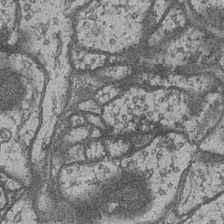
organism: Drosophila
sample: Optic medulla